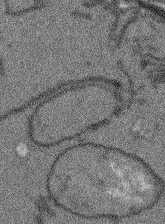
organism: Arabidopsis thaliana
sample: Root tip